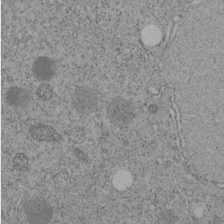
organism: C. elegans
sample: C. elegans embryo early stage